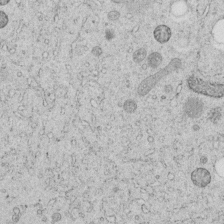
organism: C. elegans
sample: C. elegans embryo early stage